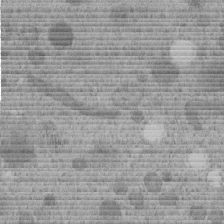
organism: C. elegans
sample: C. elegans embryo early stage